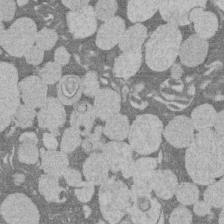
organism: Rat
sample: Salivary granule